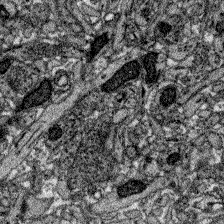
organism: Zebrafish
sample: Larval olfactory bulb